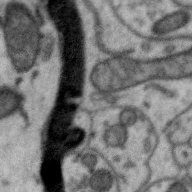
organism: Zebra finch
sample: Brain